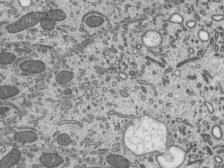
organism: Mouse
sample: Mouse epididymis efferent ductule cilia